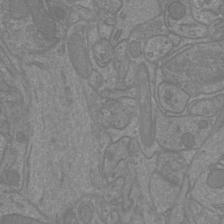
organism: Mouse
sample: Cortical neurons